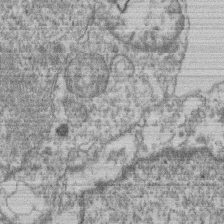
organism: Mouse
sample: T cell stromal cell synapse